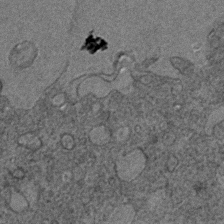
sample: Trachea